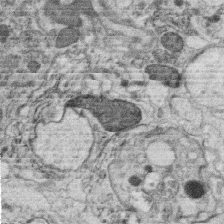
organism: C. elegans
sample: C. elegans oocyte; sperm cells